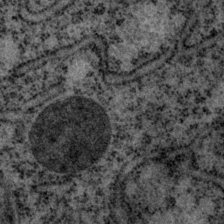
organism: P. pacificus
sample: Pharynx